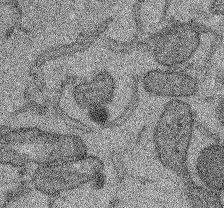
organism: Human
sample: HeLa cells